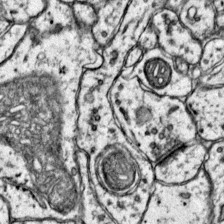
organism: Mouse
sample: Primary visual cortex